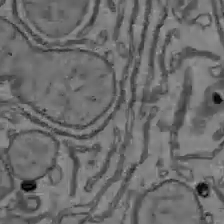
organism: C57BL Mouse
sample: Liver